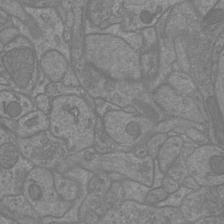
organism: Mouse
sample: Cortical neurons